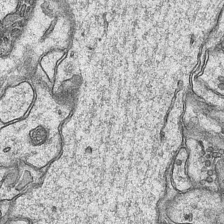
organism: Mouse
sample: CA1 Hippocampus